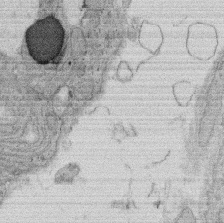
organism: Rat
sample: Salivary granule